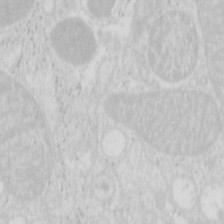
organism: Mouse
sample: Pancreas